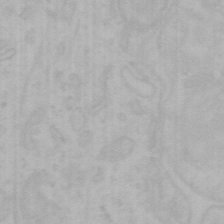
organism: Mouse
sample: Choroid plexus